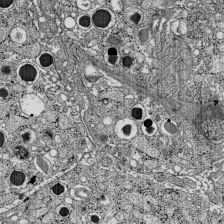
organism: C57BL Mouse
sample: Pancreatic islet